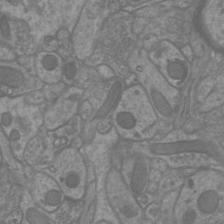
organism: Mouse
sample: Cortical neurons